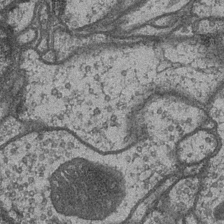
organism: Drosophila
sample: Optic medulla